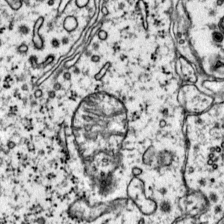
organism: Mouse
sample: Primary visual cortex